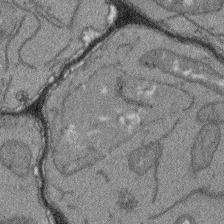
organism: Arabidopsis thaliana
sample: Root tip